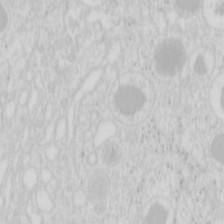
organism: Mouse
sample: Pancreas